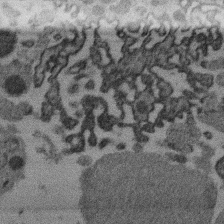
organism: Mouse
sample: Dividing mouse embryo 1 cell stage